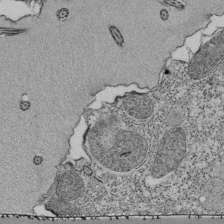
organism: Tetrahymena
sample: Cilia in tetrahymena